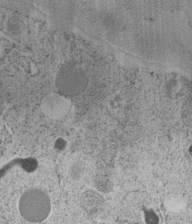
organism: C. elegans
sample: C. elegans embryo early stage